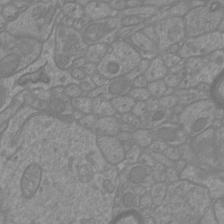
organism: Mouse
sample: Cortical neurons